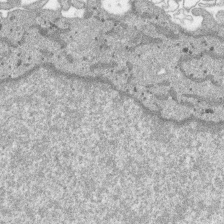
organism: Human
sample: Lung epithelial cells infected with SARS-CoV-2